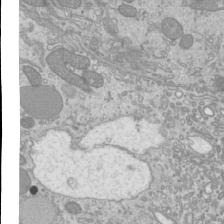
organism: Mouse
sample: Cilia; mouse epididymis